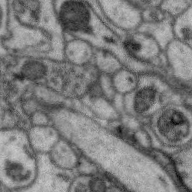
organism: Zebra finch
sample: Brain